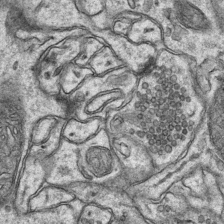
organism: Mouse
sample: CA1 Hippocampus